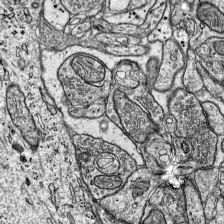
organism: Mouse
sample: Visual Cortex